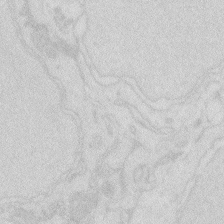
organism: Zebrafish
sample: Macrophage